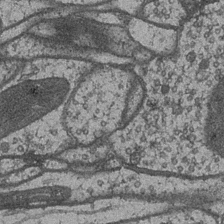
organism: Drosophila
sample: Optic medulla